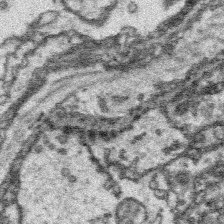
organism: Platynereis dumerilii